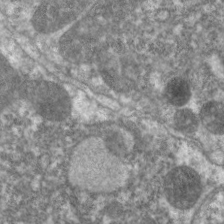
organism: C. elegans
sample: Pharynx